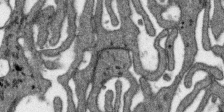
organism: Human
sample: Lung epithelial cells, uninfected (mock) control